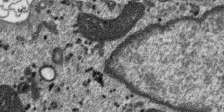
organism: Human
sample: Lung epithelial cells infected with SARS-CoV-2